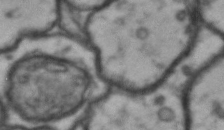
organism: Drosophila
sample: Brain